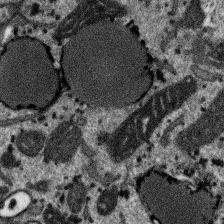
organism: Human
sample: Lung epithelial cells infected with SARS-CoV-2